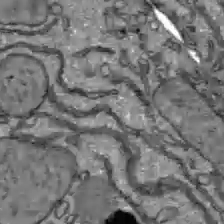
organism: C57BL Mouse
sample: Liver